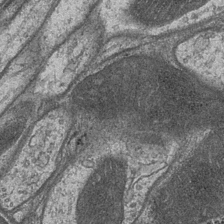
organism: Drosophila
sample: Optic medulla